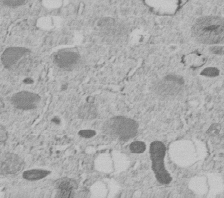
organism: C. elegans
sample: C. elegans embryo early stage